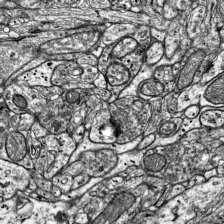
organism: Mouse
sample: Visual Cortex